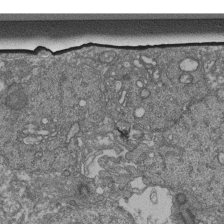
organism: Human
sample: Retinal organoid Rod and Cone cells